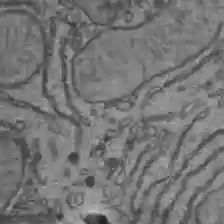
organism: C57BL Mouse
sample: Liver